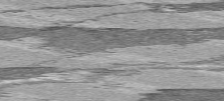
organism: C57BL Mouse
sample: Heart